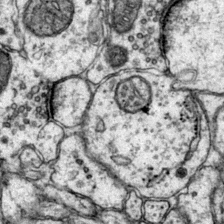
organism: Mouse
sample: Primary visual cortex